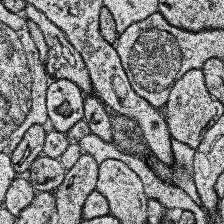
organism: Human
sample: Temporal Lobe